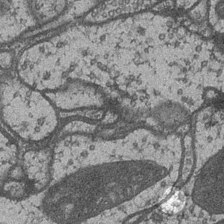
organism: Drosophila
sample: Optic medulla